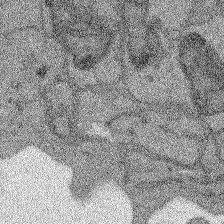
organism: Human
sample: HeLa cells